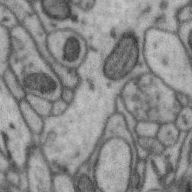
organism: Zebra finch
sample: Brain